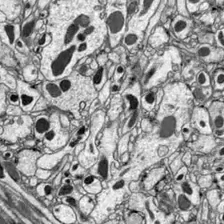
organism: Drosophila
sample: Optic lobe